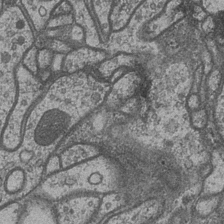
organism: Drosophila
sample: Optic medulla